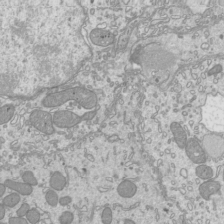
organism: Mouse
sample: Cilia; mouse epididymis